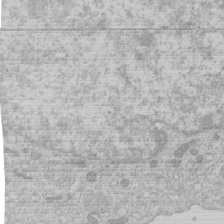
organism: Human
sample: Macrophage cells